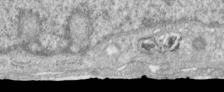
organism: Human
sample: Centriole in RPE cells